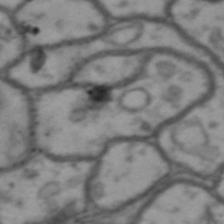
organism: Drosophila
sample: Brain